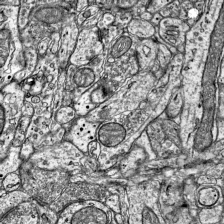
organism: Mouse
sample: Visual Cortex